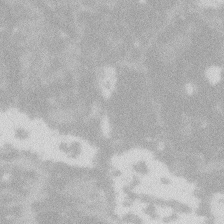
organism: Zebrafish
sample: Macrophage